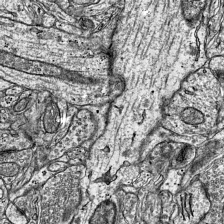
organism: Mouse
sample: Visual Cortex